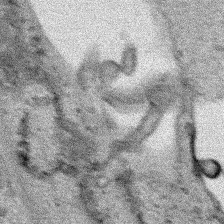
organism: Human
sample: Mitochondria in HCT116 cells